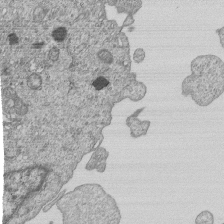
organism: Human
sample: MDA-MB-231 cells